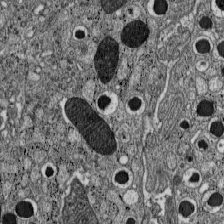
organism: C57BL Mouse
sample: Pancreatic islet